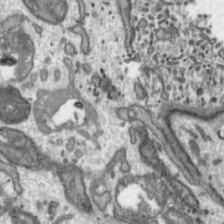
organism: Toxoplasma gondii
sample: Parasites in a vacuole inside a host cell